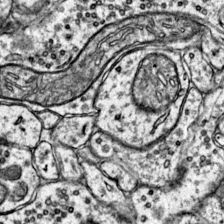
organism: Mouse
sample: Primary visual cortex